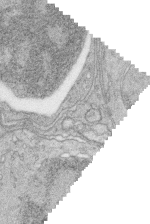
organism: Zebrafish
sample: synaptic ribbons in rod cells and cone cells